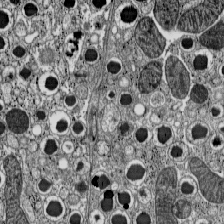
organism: C57BL Mouse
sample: Pancreatic islet